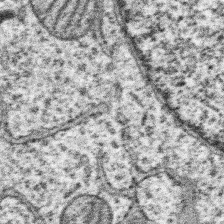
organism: Human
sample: HeLa cells